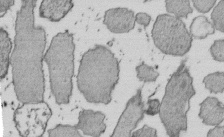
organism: E. coli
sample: Bacterial nucleoid